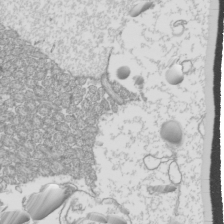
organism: Mouse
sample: Cilia; mouse epididymis